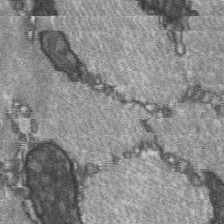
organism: C57BL Mouse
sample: Soleus